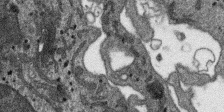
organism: Human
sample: Lung epithelial cells infected with SARS-CoV-2